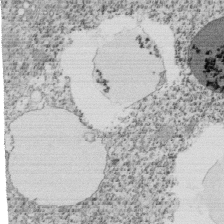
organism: Tetrahymena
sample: Cilia in tetrahymena